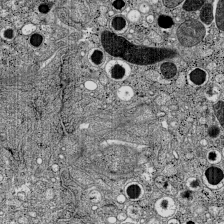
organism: C57BL Mouse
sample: Pancreatic islet